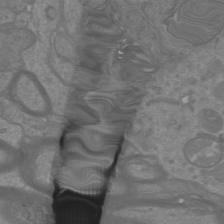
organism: Mouse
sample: Cortical neurons